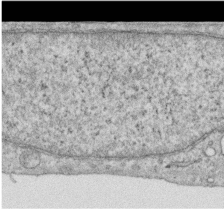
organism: Human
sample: Centriole in RPE cells